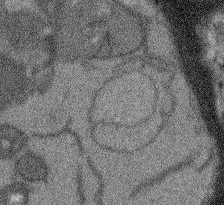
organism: Arabidopsis thaliana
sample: Root tip